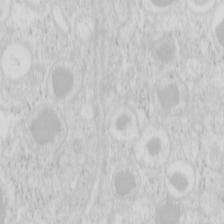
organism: Mouse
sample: Pancreas